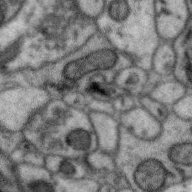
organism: Zebra finch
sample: Brain